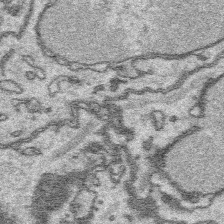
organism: Platynereis dumerilii